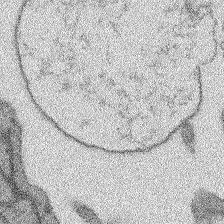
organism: Human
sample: HeLa cells